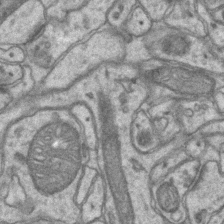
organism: Mouse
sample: CA1 Hippocampus